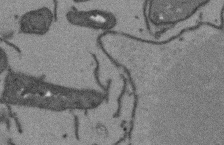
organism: Arabidopsis thaliana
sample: Root tip